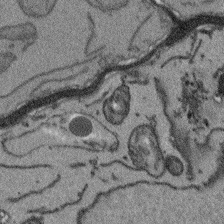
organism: Arabidopsis thaliana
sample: Root tip